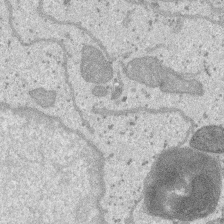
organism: Human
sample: Lung epithelial cells infected with SARS-CoV-2